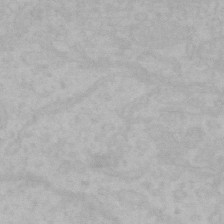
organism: Mouse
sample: Choroid plexus